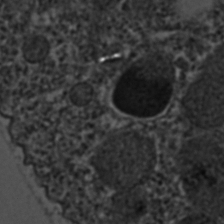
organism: C. elegans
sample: C. elegans embryo